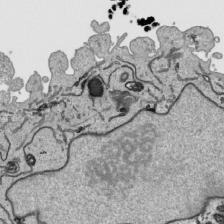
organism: Human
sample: Mitochondria in HCT116 cells